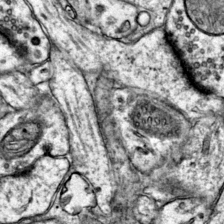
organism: Mouse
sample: Primary visual cortex